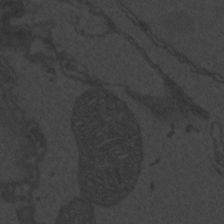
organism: Zebrafish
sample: Macrophage infected with Toxoplasma gondii